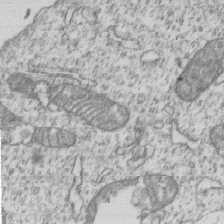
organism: Human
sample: MDA-MB-231 cells